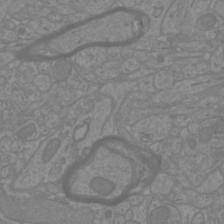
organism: Mouse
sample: Cortical neurons